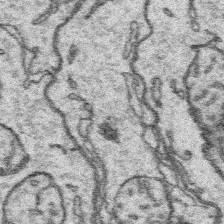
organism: Platynereis dumerilii